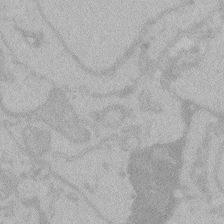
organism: Zebrafish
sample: Macrophage infected with Toxoplasma gondii